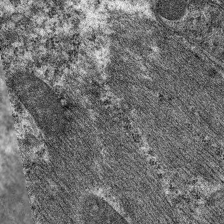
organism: C. elegans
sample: Pharynx